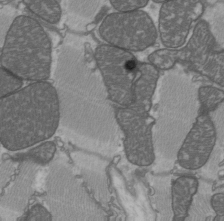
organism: C57BL Mouse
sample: Heart